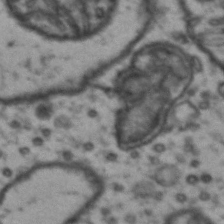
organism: Drosophila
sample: Brain